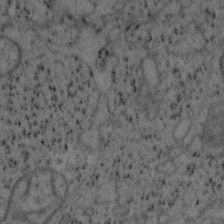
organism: Human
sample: HeLa cells